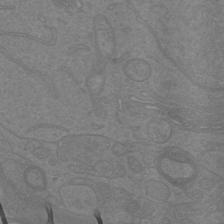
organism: Mouse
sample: Cortical neurons